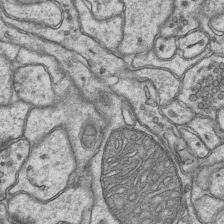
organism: Mouse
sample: CA1 Hippocampus